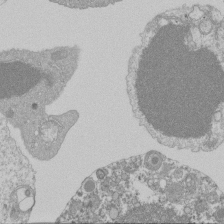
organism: Mouse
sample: Activated Pmel transgenic CD8+ T Cells